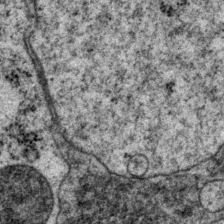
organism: P. pacificus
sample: Pharynx